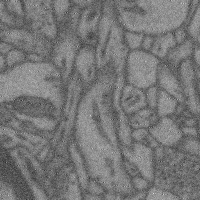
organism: Mouse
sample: Cerebral cortex